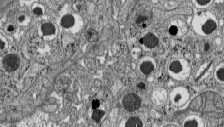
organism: C57BL Mouse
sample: Pancreatic islet